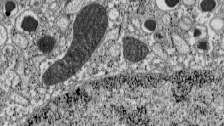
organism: C57BL Mouse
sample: Pancreatic islet